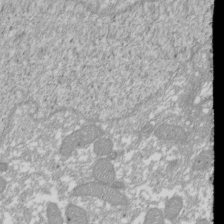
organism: Xenopus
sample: Cilia; centrioles in frog embryo cells